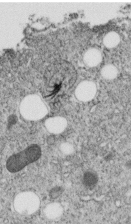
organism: C. elegans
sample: C. elegans embryo early stage